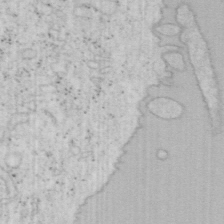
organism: Human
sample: HeLa cells